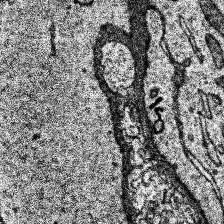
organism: Human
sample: Temporal Lobe